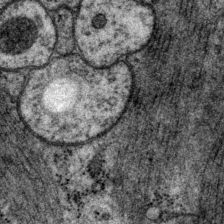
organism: P. pacificus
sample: Pharynx